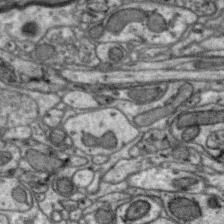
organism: Zebra finch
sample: Brain